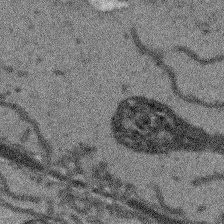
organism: Arabidopsis thaliana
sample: Root tip